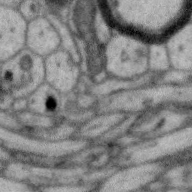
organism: Zebra finch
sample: Brain